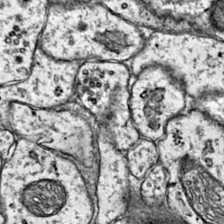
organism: Mouse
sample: Primary visual cortex